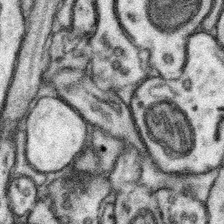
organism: Mouse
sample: Somatosensory cortex neuropil